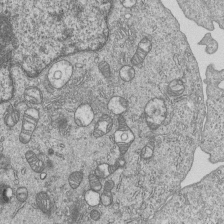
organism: Human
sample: MDA-MB-231 cells